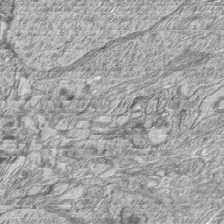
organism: Zebrafish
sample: synaptic ribbons in rod cells and cone cells